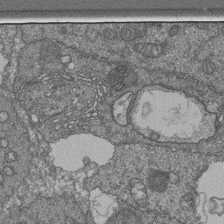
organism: Human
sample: Retinal organoid Rod and Cone cells